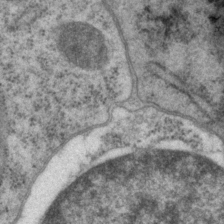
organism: P. pacificus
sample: Pharynx